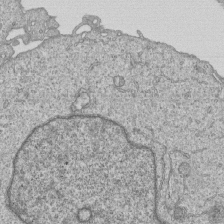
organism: Human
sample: MDA-MB-231 cells